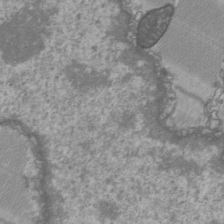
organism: C57BL Mouse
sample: Heart